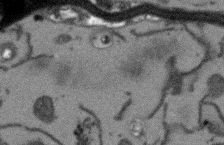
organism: Arabidopsis thaliana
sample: Root tip